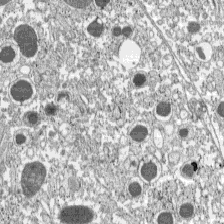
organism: C57BL Mouse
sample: Pancreatic islet